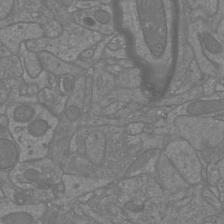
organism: Mouse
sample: Cortical neurons